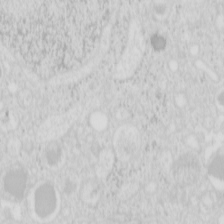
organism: Mouse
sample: Pancreas